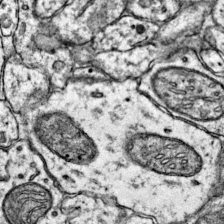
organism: Mouse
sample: Primary visual cortex